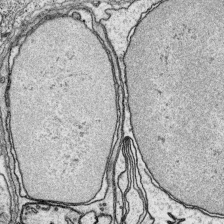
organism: Platynereis dumerilii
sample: Parapodia